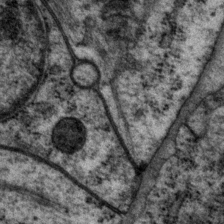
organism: P. pacificus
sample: Pharynx